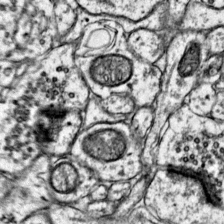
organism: Mouse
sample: Primary visual cortex